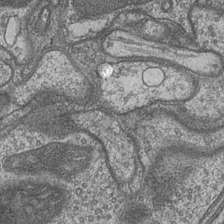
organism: Drosophila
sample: Optic medulla